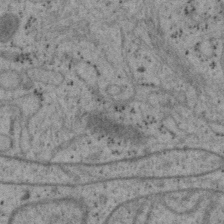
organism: Human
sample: HeLa cells